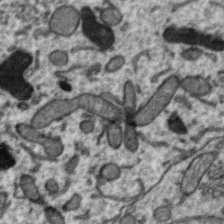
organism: Zebra finch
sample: Brain